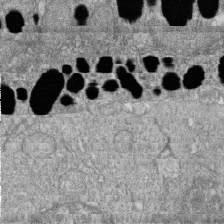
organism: Zebrafish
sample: Cilia; retinal pigment epithelium